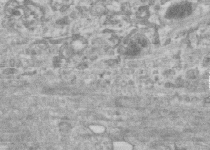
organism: Human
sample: Centriole in RPE cells